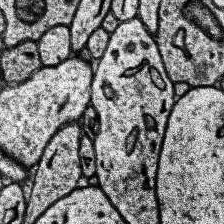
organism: Human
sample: Temporal Lobe